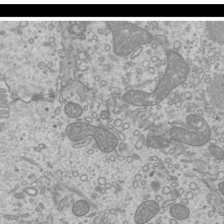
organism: Mouse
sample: Cilia; mouse epididymis